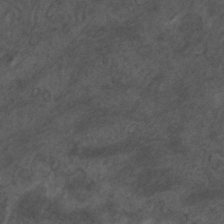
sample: Trachea